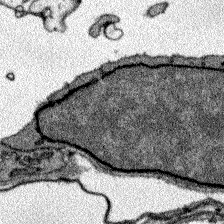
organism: Zebrafish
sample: Larval olfactory bulb